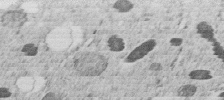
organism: C. elegans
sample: C. elegans embryo early stage